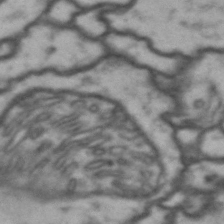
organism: Drosophila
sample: Brain